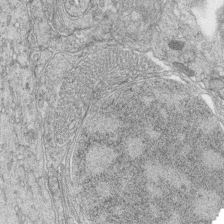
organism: Zebrafish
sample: synaptic ribbons in rod cells and cone cells